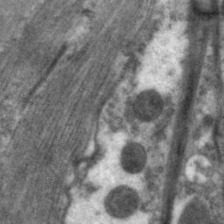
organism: C. elegans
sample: Pharynx